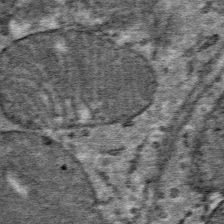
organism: Mouse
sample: Mouse Salivary gland